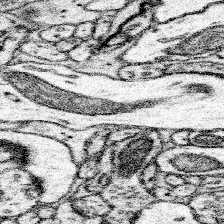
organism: Mouse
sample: Somatosensory cortex neuropil